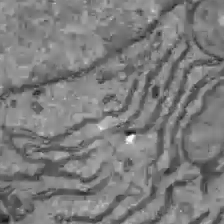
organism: C57BL Mouse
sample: Liver